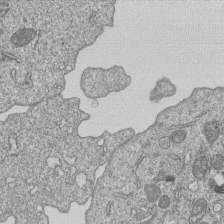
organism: Human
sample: MDA-MB-231 cells